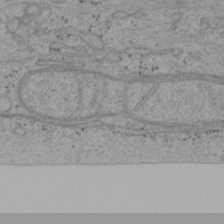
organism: Human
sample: HeLa cells